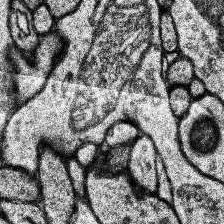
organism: Human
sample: Temporal Lobe